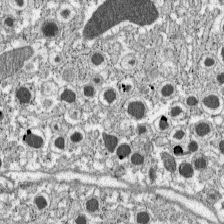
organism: C57BL Mouse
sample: Pancreatic islet